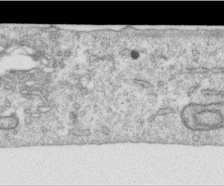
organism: Human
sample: Centriole in RPE cells